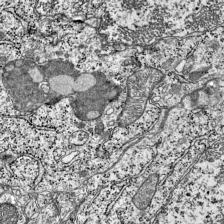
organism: Mouse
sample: Visual Cortex